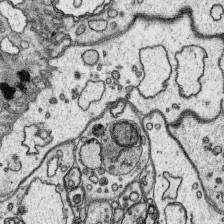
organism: Platynereis dumerilii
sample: Parapodia